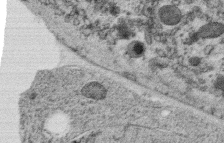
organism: C. elegans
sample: C. elegans oocyte; sperm cells